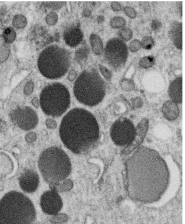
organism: C. elegans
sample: C. elegans oocyte; sperm cells